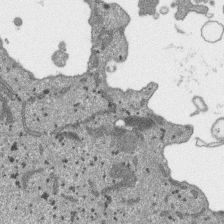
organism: Human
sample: Lung epithelial cells infected with SARS-CoV-2